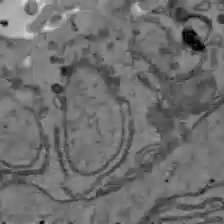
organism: C57BL Mouse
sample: Liver